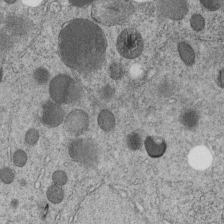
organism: C. elegans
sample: C. elegans embryo early stage